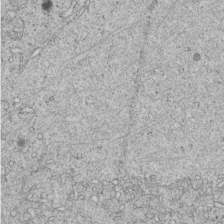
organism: C. elegans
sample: C. elegans embryo early stage